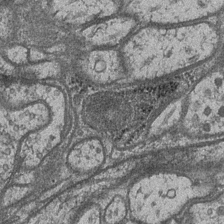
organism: Drosophila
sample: Optic medulla